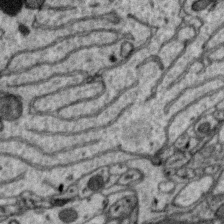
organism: Zebra finch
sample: Brain